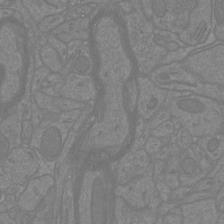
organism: Mouse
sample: Cortical neurons